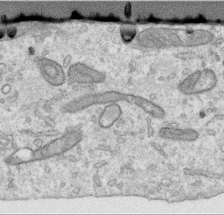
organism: Human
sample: Centriole in RPE cells